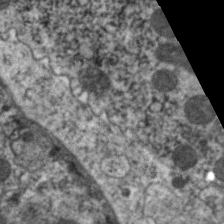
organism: C. elegans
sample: Pharynx